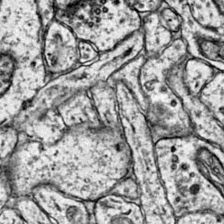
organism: Mouse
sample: Primary visual cortex